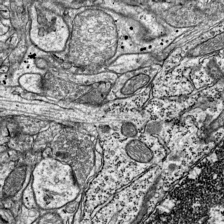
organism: Mouse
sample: Visual Cortex